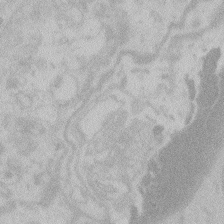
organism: Zebrafish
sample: Macrophage infected with Toxoplasma gondii